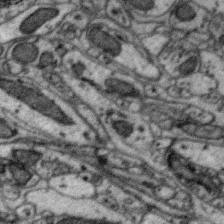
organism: Zebra finch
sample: Brain